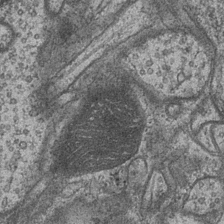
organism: Drosophila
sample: Optic medulla